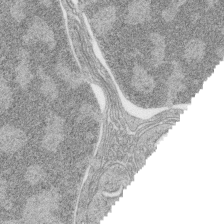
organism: Zebrafish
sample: synaptic ribbons in rod cells and cone cells